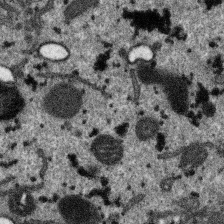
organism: Human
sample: Lung epithelial cells infected with SARS-CoV-2